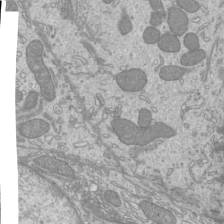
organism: Mouse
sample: Cilia; mouse epididymis